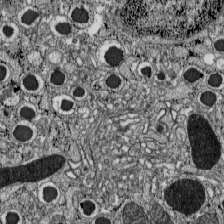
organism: C57BL Mouse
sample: Pancreatic islet